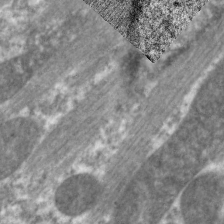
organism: C. elegans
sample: Pharynx